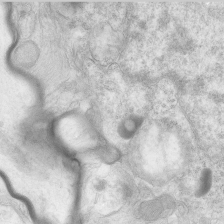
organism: Human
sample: Neocortex